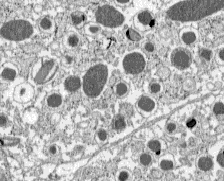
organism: C57BL Mouse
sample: Pancreatic islet